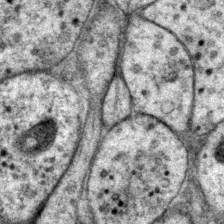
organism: P. pacificus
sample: Pharynx